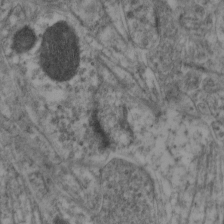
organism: Mouse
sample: Neocortex